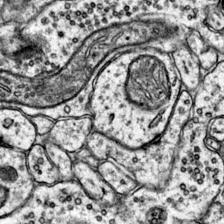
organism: Mouse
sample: Primary visual cortex